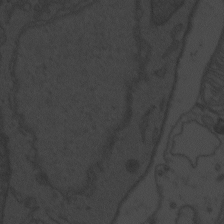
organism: Zebrafish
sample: Macrophage infected with Toxoplasma gondii